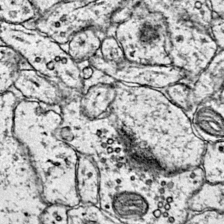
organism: Mouse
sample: Primary visual cortex